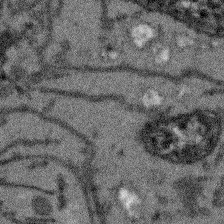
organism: Arabidopsis thaliana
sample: Root tip